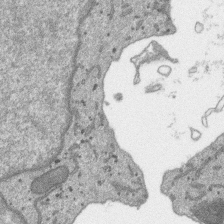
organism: Human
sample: Lung epithelial cells infected with SARS-CoV-2